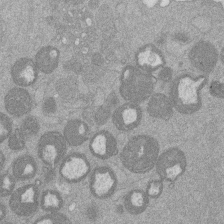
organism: Mouse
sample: Dividing mouse embryo 1 cell stage